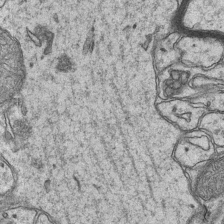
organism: Mouse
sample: CA1 Hippocampus